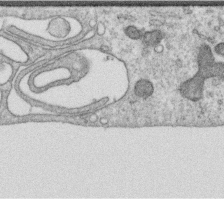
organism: Human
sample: Centriole in RPE cells